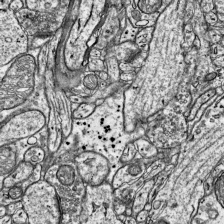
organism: Mouse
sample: Visual Cortex